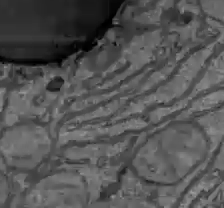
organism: C57BL Mouse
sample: Liver